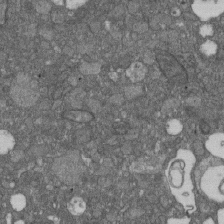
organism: Drosophila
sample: Nephrocyte